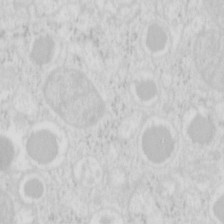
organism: Mouse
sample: Pancreas